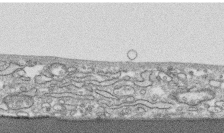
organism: Human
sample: CRL-1474